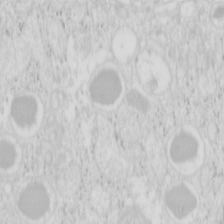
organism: Mouse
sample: Pancreas